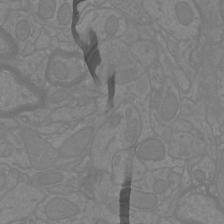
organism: Mouse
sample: Cortical neurons